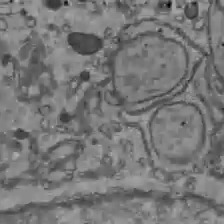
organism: C57BL Mouse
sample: Liver